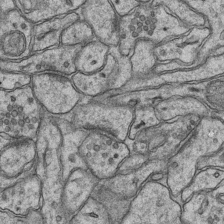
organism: Mouse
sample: CA1 Hippocampus